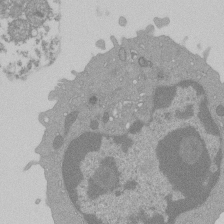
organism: Mouse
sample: Activated Pmel transgenic CD8+ T Cells